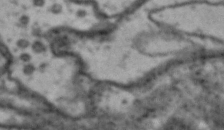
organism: Drosophila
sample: Brain